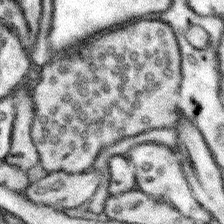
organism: Mouse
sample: Somatosensory cortex neuropil